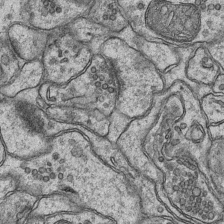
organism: Mouse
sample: CA1 Hippocampus